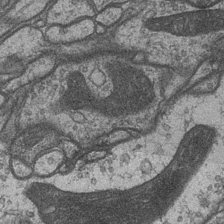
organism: Drosophila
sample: Optic medulla